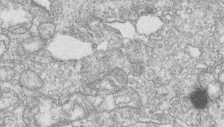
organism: Human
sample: HeLa cell HIV synapse